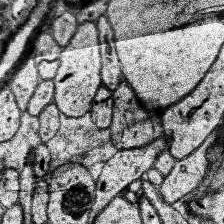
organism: Human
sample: Temporal Lobe